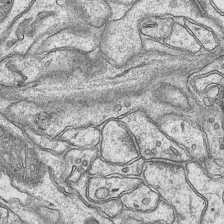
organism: Mouse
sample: CA1 Hippocampus